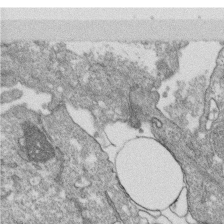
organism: African green monkey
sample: Vero E6 cells infected with SARS-CoV-2